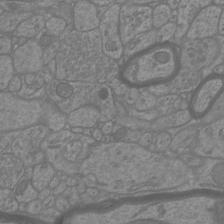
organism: Mouse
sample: Cortical neurons